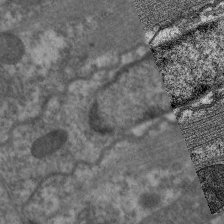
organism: C. elegans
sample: Pharynx